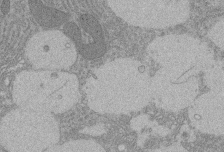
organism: Rat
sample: Salivary granule